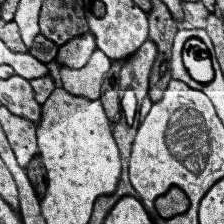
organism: Human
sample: Temporal Lobe